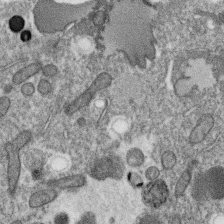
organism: C. elegans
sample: C. elegans oocyte; sperm cells